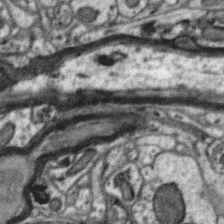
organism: Zebra finch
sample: Brain